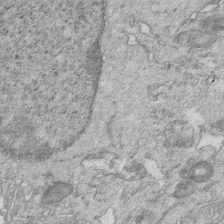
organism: Mouse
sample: Multiciliated cells